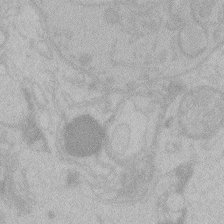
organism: Zebrafish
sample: Macrophage infected with Toxoplasma gondii